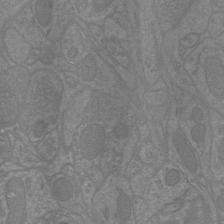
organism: Mouse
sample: Cortical neurons